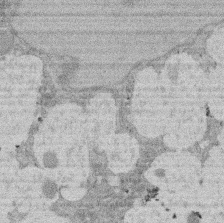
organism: Rat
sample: Salivary granule